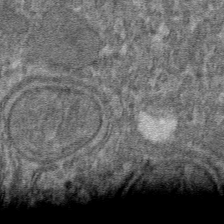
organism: Mouse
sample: Mouse hepatocytes